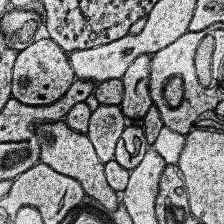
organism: Human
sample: Temporal Lobe